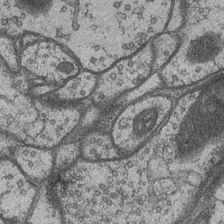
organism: Drosophila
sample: Optic medulla